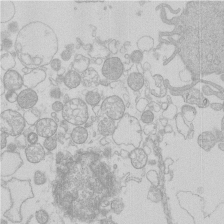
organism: Human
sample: Macrophage cells